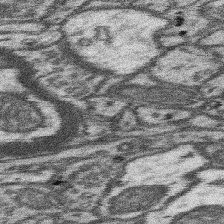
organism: Mouse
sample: Somatosensory cortex neuropil